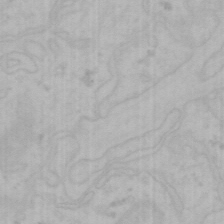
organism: Mouse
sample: Choroid plexus